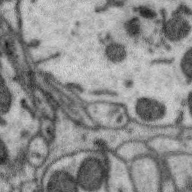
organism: Zebra finch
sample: Brain